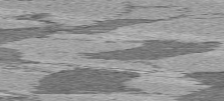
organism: C57BL Mouse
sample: Heart